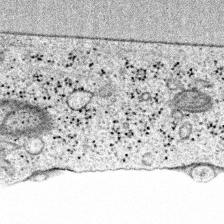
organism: Human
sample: HeLa cells